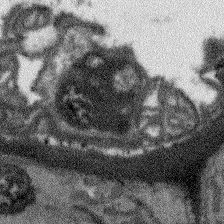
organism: Arabidopsis thaliana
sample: Root tip